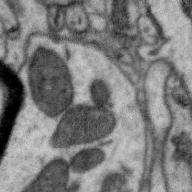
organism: Zebra finch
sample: Brain